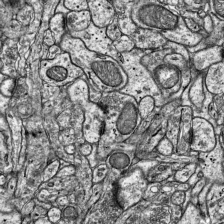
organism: Mouse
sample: Visual Cortex